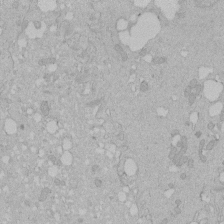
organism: Human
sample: Melanocyte Keratinocyte synapse skin construct